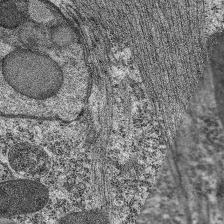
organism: C. elegans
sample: Pharynx